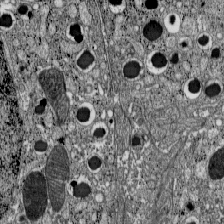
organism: C57BL Mouse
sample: Pancreatic islet